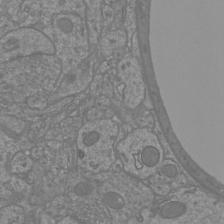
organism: Mouse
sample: Cortical neurons